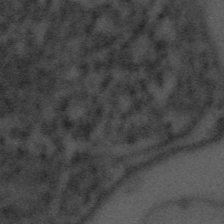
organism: Tuwongella immobilis